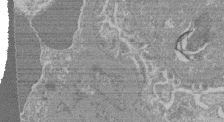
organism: Mouse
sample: Glomerulus